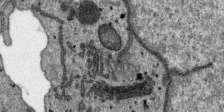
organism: Human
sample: Lung epithelial cells, uninfected (mock) control